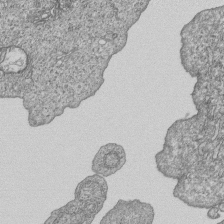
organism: Human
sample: MDA-MB-231 cells